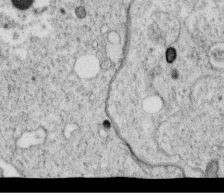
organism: C. elegans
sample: C. elegans oocyte; sperm cells